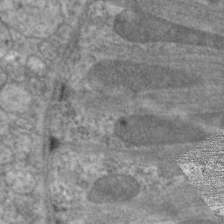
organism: C. elegans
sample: Pharynx